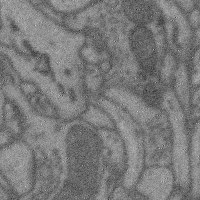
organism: Mouse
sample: Cerebral cortex